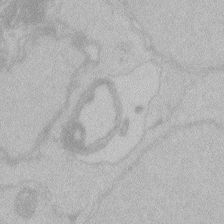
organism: Zebrafish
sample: Macrophage infected with Toxoplasma gondii